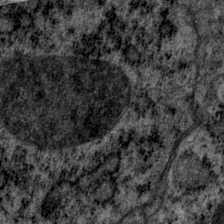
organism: P. pacificus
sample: Pharynx